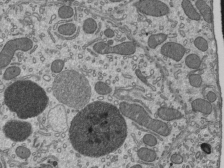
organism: Mouse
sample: Mouse epididymis efferent ductule cilia